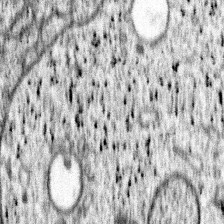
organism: Human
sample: HeLa cells